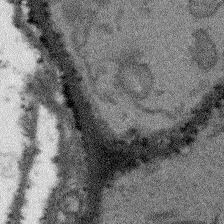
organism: Arabidopsis thaliana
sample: Root tip